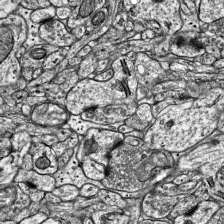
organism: Mouse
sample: Visual Cortex